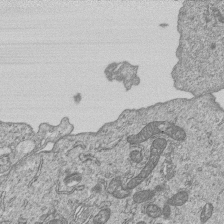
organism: Human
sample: MDA-MB-231 cells